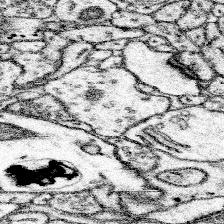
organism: Mouse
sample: Somatosensory cortex neuropil